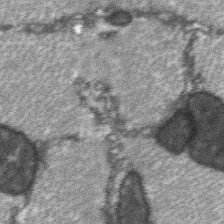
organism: C57BL Mouse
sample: Soleus